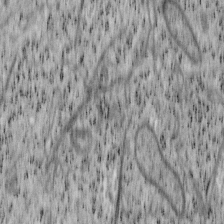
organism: Human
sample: HeLa cells